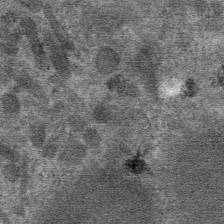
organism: Mouse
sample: Mouse Salivary gland